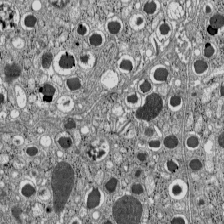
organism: C57BL Mouse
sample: Pancreatic islet